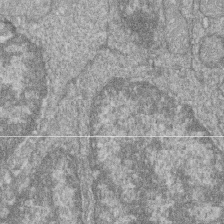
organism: Zebrafish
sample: Cilia; retinal pigment epithelium